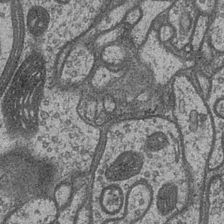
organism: Drosophila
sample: Optic medulla